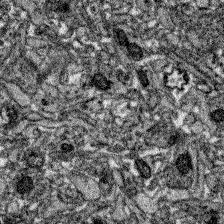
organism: Zebrafish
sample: Larval olfactory bulb